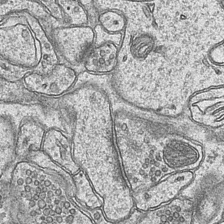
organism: Mouse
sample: CA1 Hippocampus